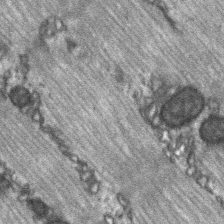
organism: C57BL Mouse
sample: Soleus